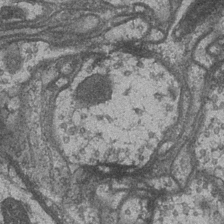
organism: Drosophila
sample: Optic medulla